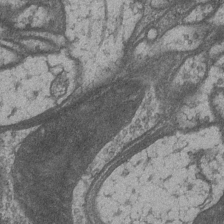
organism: Drosophila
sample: Optic medulla